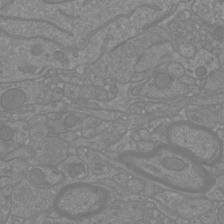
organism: Mouse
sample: Cortical neurons